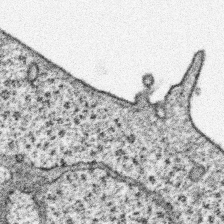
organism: Human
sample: HeLa cells